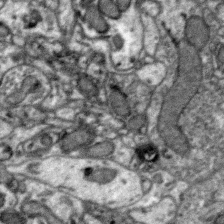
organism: Zebra finch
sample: Brain